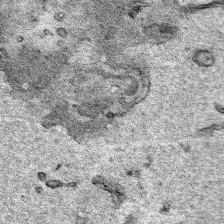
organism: Human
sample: Mitochondria in HCT116 cells